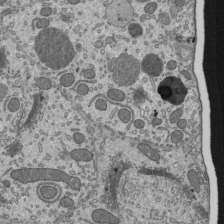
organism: Mouse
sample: Mouse epididymis efferent ductule cilia